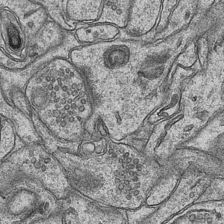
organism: Mouse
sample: CA1 Hippocampus